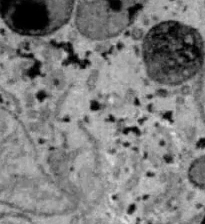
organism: Mouse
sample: Liver from an obese (ob/ob) mouse